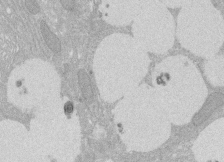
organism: Rat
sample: Salivary granule